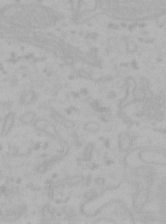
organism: Mouse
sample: Choroid plexus